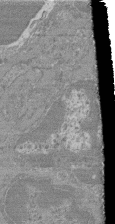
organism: Mouse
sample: Glomerulus